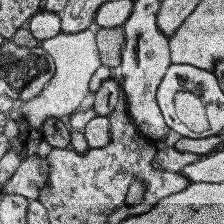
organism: Human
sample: Temporal Lobe